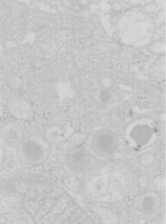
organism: Mouse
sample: Pancreas